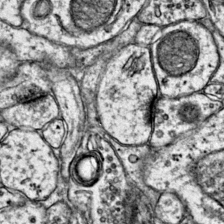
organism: Mouse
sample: Primary visual cortex